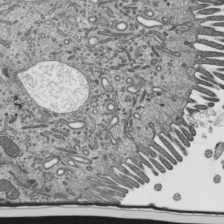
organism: Mouse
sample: Mouse epididymis efferent ductule cilia